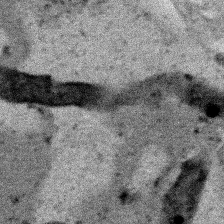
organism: Human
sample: Mitochondria in HCT116 cells